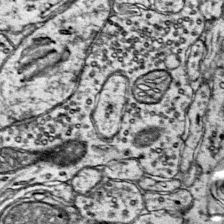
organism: Mouse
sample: Primary visual cortex